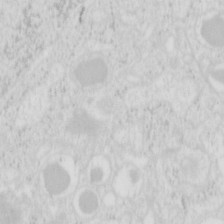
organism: Mouse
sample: Pancreas